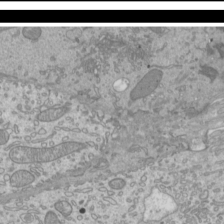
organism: Mouse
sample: Cilia; mouse epididymis